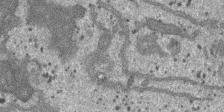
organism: Human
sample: Lung epithelial cells infected with SARS-CoV-2